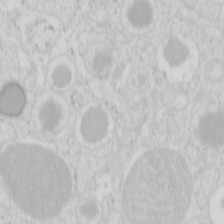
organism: Mouse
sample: Pancreas